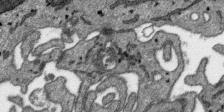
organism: Human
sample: Lung epithelial cells, uninfected (mock) control